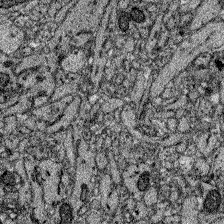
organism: Zebrafish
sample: Larval olfactory bulb